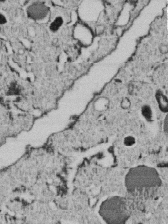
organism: C. elegans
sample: C. elegans embryo early stage